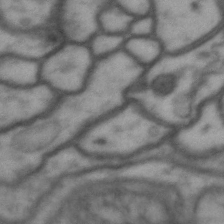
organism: Drosophila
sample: Brain